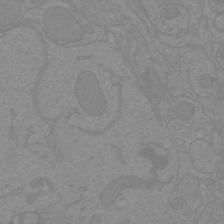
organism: Mouse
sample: Cortical neurons